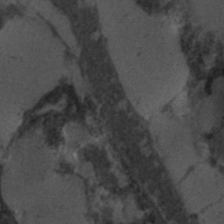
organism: C. elegans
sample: C. elegans embryo